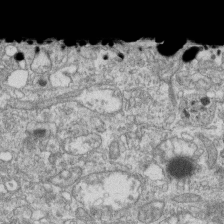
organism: Human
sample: HeLa cell HIV synapse